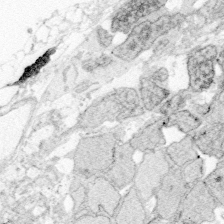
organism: Zebrafish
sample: Whole-Brain